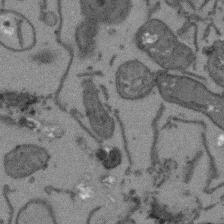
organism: Arabidopsis thaliana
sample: Root tip